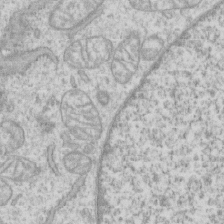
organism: Human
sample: CRL-1474